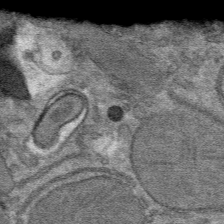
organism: Mouse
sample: Mouse hepatocytes